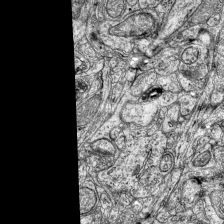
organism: Mouse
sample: Visual Cortex